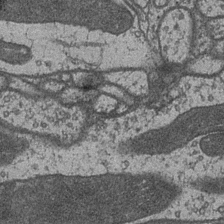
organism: Drosophila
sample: Optic medulla